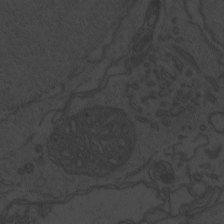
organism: Zebrafish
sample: Macrophage infected with Toxoplasma gondii